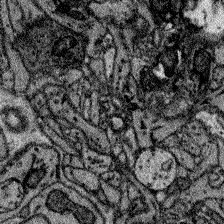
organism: Zebrafish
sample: Larval olfactory bulb